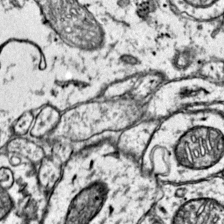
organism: Mouse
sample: Primary visual cortex